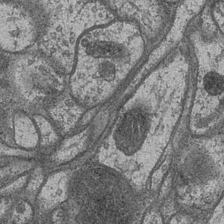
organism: Drosophila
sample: Optic medulla